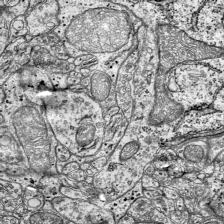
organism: Mouse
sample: Visual Cortex